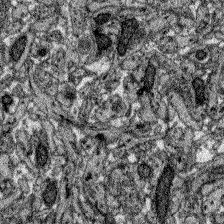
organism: Zebrafish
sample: Larval olfactory bulb